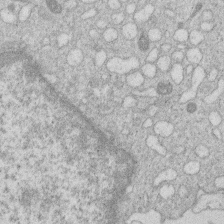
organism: Human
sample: Macrophage cells